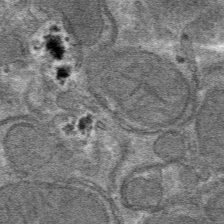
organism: Mouse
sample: Mouse hepatocytes